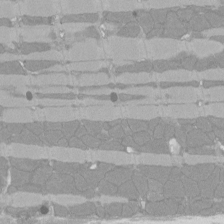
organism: Rat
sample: Left ventricle